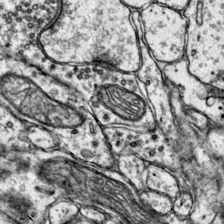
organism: Mouse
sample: Primary visual cortex